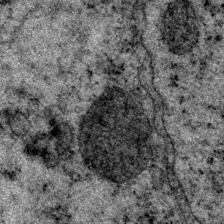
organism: P. pacificus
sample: Pharynx